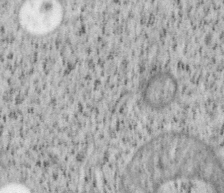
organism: Mouse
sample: OT-I killer T cells with ID8 ovarian cancer cells